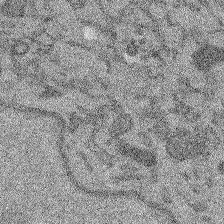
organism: Human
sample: HeLa cells